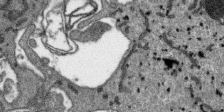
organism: Human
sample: Lung epithelial cells, uninfected (mock) control